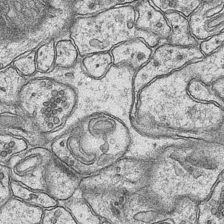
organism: Mouse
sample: CA1 Hippocampus